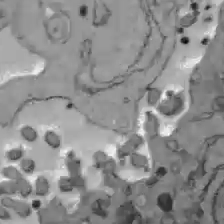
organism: C57BL Mouse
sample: Liver